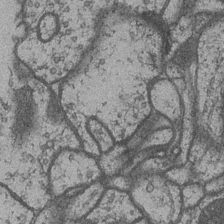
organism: Drosophila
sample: Optic medulla